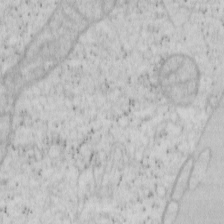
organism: Human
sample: HeLa cells